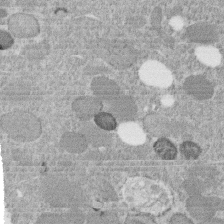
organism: C. elegans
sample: C. elegans embryo early stage